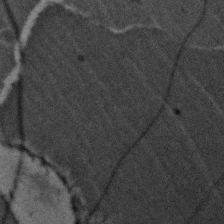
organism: Zebrafish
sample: Zebrafish embryo